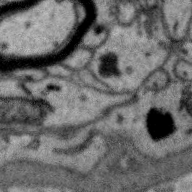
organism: Zebra finch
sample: Brain